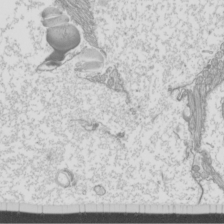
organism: Mouse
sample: Cilia; mouse epididymis